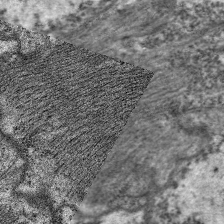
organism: C. elegans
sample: Pharynx